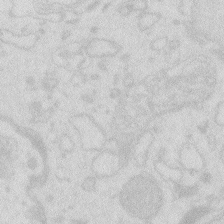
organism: Zebrafish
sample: Macrophage